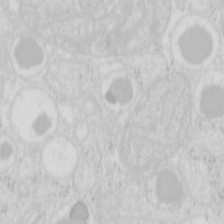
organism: Mouse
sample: Pancreas